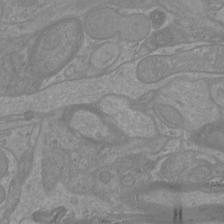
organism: Mouse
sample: Cortical neurons